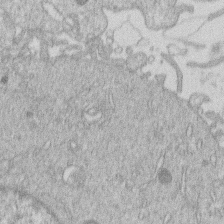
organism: Human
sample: Macrophage cells